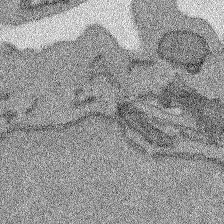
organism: Human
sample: HeLa cells